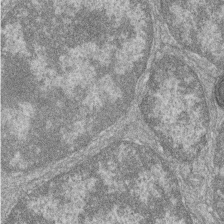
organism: Zebrafish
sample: Cilia; retinal pigment epithelium